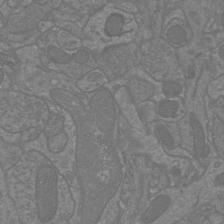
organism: Mouse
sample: Cortical neurons